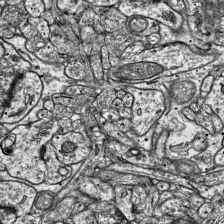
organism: Mouse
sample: Visual Cortex